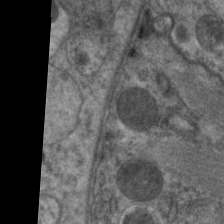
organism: C. elegans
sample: Pharynx